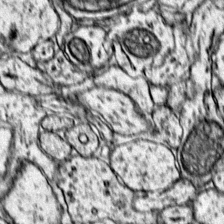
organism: Mouse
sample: Primary visual cortex